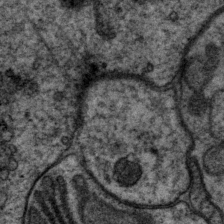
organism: P. pacificus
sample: Pharynx